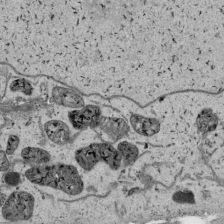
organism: Human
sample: Mitochondria in HCT116 cells